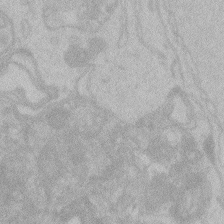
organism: Zebrafish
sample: Macrophage infected with Toxoplasma gondii